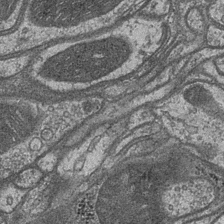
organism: Drosophila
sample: Optic medulla